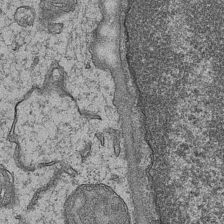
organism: Mouse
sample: CA1 Hippocampus